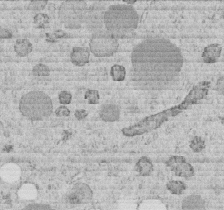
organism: C. elegans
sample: C. elegans embryo early stage